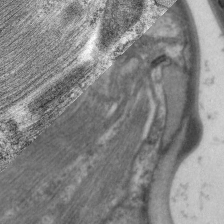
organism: C. elegans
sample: Pharynx